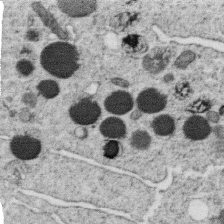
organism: C. elegans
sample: C. elegans oocyte; sperm cells